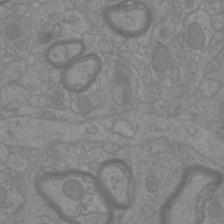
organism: Mouse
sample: Cortical neurons